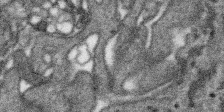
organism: Human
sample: Lung epithelial cells infected with SARS-CoV-2